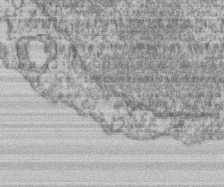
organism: Mouse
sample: T cell stromal cell synapse